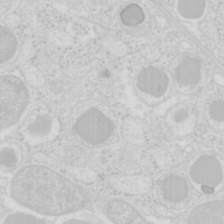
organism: Mouse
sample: Pancreas